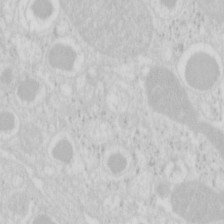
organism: Mouse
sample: Pancreas